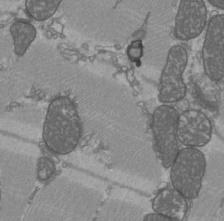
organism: C57BL Mouse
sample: Heart